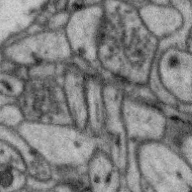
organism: Zebra finch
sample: Brain